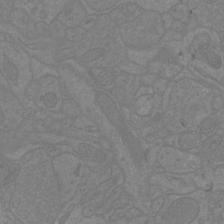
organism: Mouse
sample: Cortical neurons